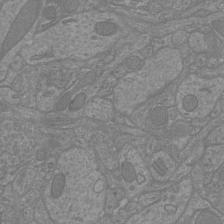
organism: Mouse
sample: Cortical neurons